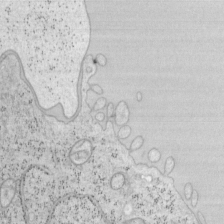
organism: Mouse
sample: OT-I killer T cells with ID8 ovarian cancer cells